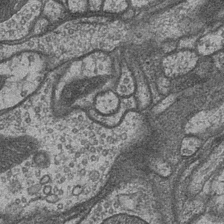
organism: Drosophila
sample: Optic medulla